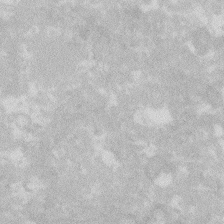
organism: Zebrafish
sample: Macrophage